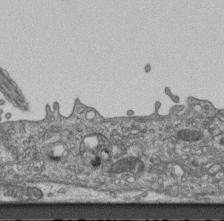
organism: Mouse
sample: Centriole in ependymal cells